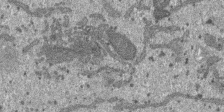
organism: Human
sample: Lung epithelial cells infected with SARS-CoV-2